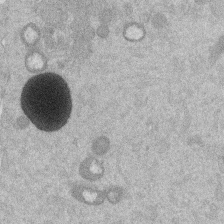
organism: Mouse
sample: Dividing mouse embryo 1 cell stage